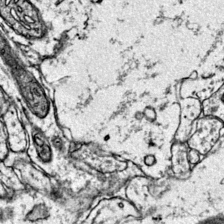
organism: Mouse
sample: Primary visual cortex